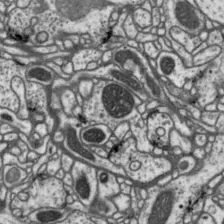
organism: Drosophila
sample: Protocerebral bridge